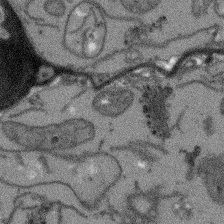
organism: Arabidopsis thaliana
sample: Root tip